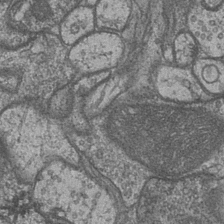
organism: Drosophila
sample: Optic medulla